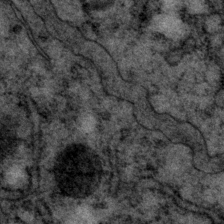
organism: P. pacificus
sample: Pharynx